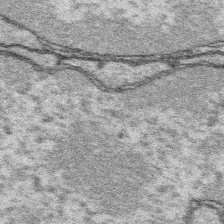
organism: Platynereis dumerilii